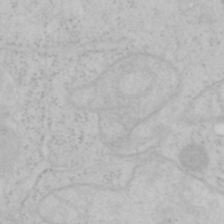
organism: Mouse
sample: OT-I killer T cells with ID8 ovarian cancer cells